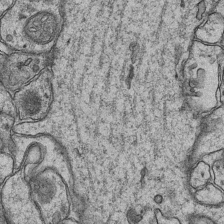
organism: Mouse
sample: CA1 Hippocampus